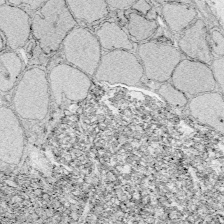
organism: Zebrafish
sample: Whole-Brain